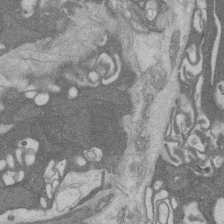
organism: Rat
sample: Salivary granule